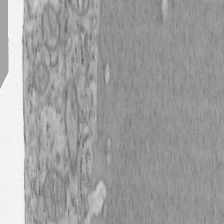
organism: Human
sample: HeLa cells